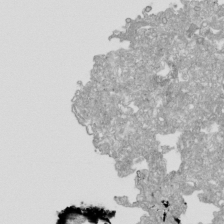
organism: Human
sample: Mitochondria in HCT116 cells